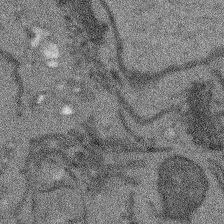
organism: Arabidopsis thaliana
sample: Root tip